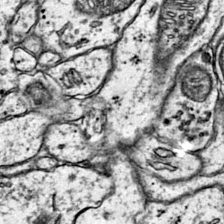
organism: Mouse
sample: Primary visual cortex